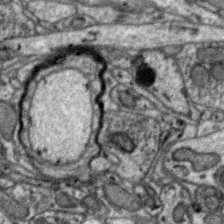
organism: Zebra finch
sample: Brain